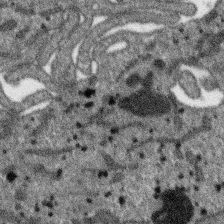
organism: Human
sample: Lung epithelial cells infected with SARS-CoV-2